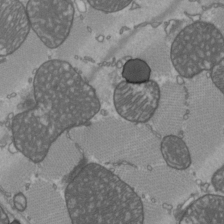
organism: C57BL Mouse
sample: Heart